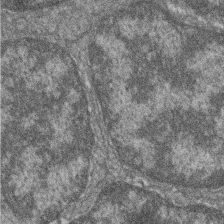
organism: Zebrafish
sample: Cilia; retinal pigment epithelium